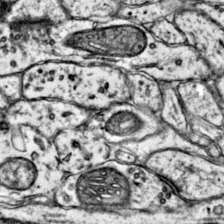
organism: Mouse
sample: Primary visual cortex